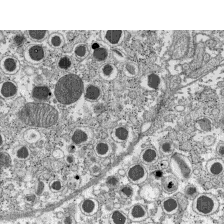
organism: C57BL Mouse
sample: Pancreatic islet